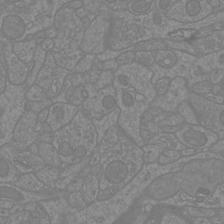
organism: Mouse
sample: Cortical neurons